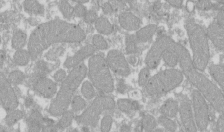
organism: Xenopus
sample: Cilia; centrioles in frog embryo cells